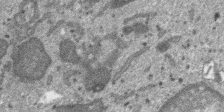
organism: Human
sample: Lung epithelial cells infected with SARS-CoV-2